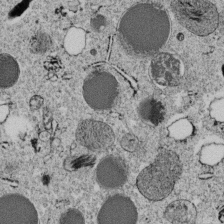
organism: C. elegans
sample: C. elegans embryo early stage